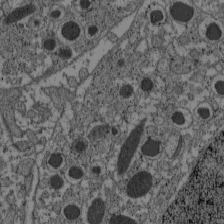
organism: C57BL Mouse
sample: Pancreatic islet